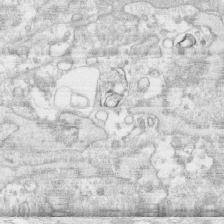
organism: Human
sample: CRL-1474